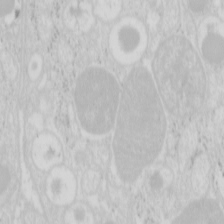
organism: Mouse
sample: Pancreas